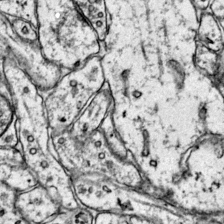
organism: Mouse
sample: Primary visual cortex